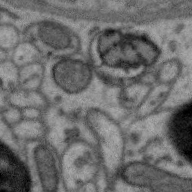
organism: Zebra finch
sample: Brain